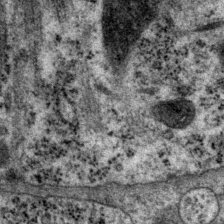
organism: P. pacificus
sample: Pharynx